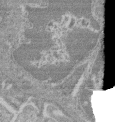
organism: Mouse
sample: Glomerulus